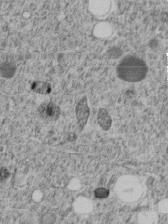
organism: C. elegans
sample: C. elegans embryo early stage